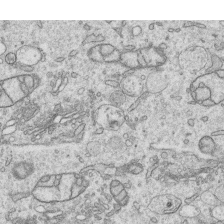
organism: Human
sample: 1205lu cells